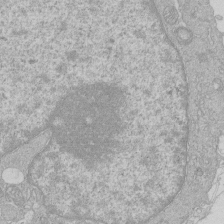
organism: Human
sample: Macrophage cells